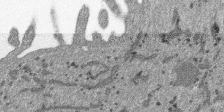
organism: Human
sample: Lung epithelial cells infected with SARS-CoV-2